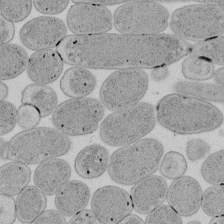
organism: E. coli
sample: Bacterial nucleoid